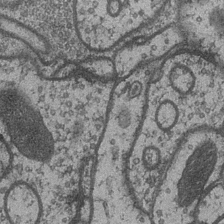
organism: Drosophila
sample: Optic medulla